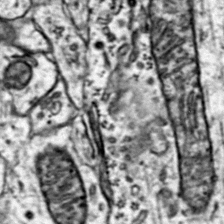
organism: Mouse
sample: Primary visual cortex